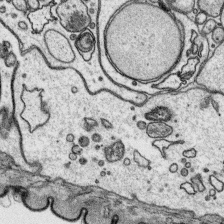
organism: Platynereis dumerilii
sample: Parapodia